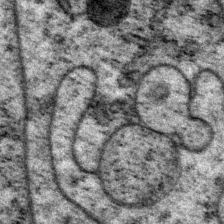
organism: P. pacificus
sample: Pharynx